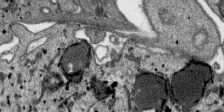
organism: Human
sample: Lung epithelial cells, uninfected (mock) control